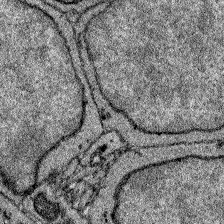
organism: Zebrafish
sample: Larval olfactory bulb